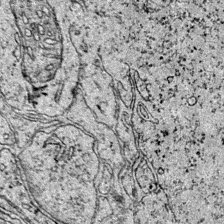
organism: Mouse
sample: Primary visual cortex